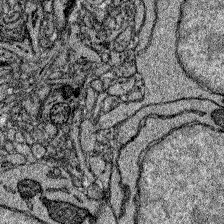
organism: Zebrafish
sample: Larval olfactory bulb